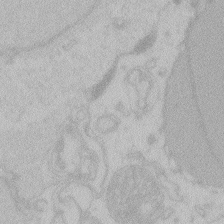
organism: Zebrafish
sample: Macrophage infected with Toxoplasma gondii